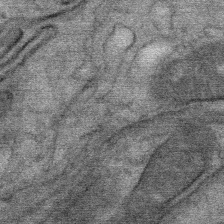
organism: Mouse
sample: Mouse Salivary gland